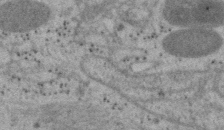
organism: Human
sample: HeLa cells